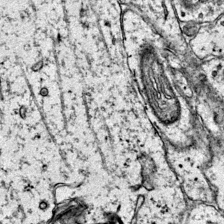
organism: Mouse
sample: Primary visual cortex